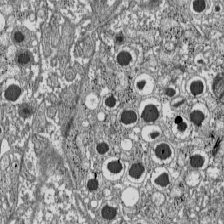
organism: C57BL Mouse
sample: Pancreatic islet